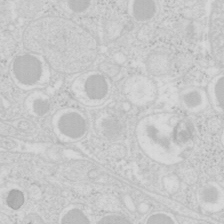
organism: Mouse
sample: Pancreas